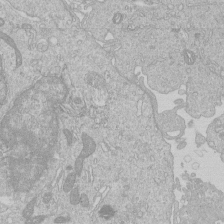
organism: Human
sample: Macrophage cells